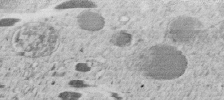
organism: C. elegans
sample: C. elegans embryo early stage